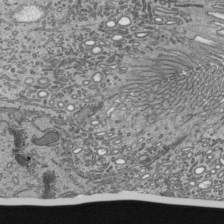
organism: Mouse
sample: Mouse epididymis efferent ductule cilia